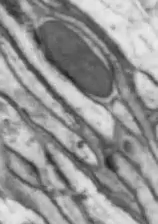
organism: Drosophila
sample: Optic lobe